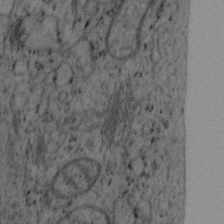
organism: Human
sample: HeLa cells